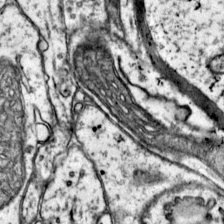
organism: Mouse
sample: Primary visual cortex